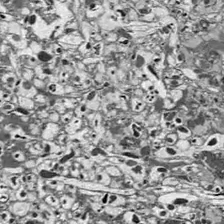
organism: Drosophila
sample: Optic lobe